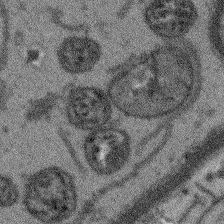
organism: Arabidopsis thaliana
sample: Root tip